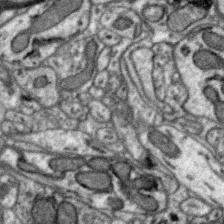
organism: Zebra finch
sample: Brain